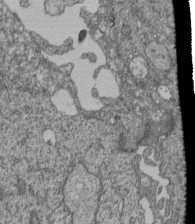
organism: Human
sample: Retinal organoid Rod and Cone cells